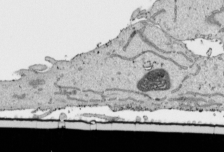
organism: Human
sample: Mitochondria in HCT116 cells